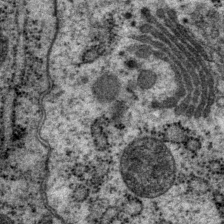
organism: P. pacificus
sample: Pharynx